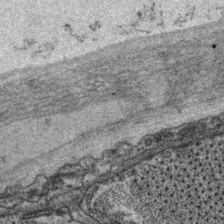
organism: P. pacificus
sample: Pharynx